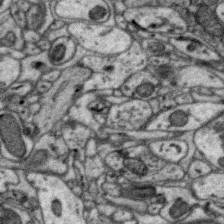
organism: Zebra finch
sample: Brain